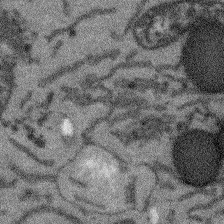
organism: Arabidopsis thaliana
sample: Root tip